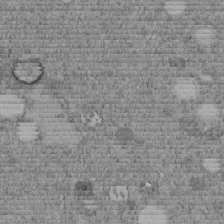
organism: C. elegans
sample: C. elegans embryo early stage